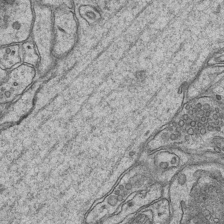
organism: Mouse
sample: CA1 Hippocampus